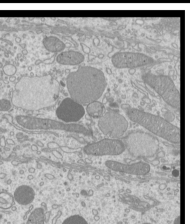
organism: Mouse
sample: Cilia; mouse epididymis